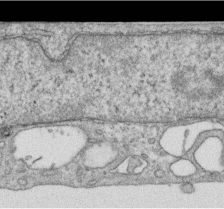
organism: Human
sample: Centriole in RPE cells